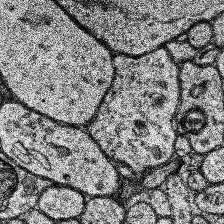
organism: Human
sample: Temporal Lobe